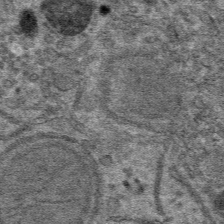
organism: Mouse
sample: Mouse hepatocytes